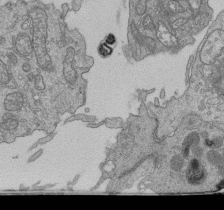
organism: Human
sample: Retinal organoid Rod and Cone cells